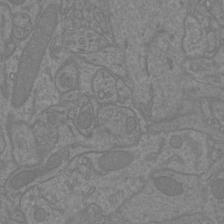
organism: Mouse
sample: Cortical neurons